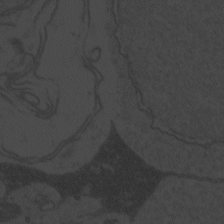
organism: Zebrafish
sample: Macrophage infected with Toxoplasma gondii